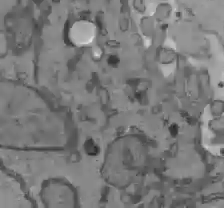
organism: C57BL Mouse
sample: Liver